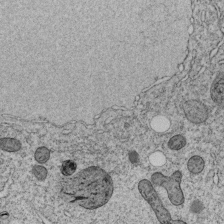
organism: C. elegans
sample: C. elegans embryo early stage